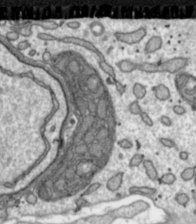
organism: Toxoplasma gondii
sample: Parasites in a vacuole inside a host cell